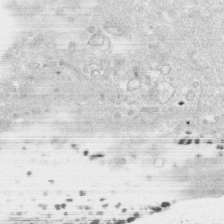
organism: Human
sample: CRL-1474